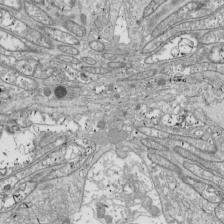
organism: Drosophila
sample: Cell division; meiosis; drosophila spermatocytes